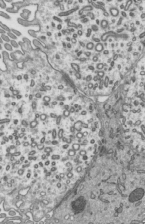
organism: Mouse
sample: Mouse epididymis efferent ductule cilia